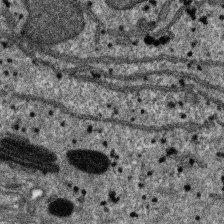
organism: Human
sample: Lung epithelial cells infected with SARS-CoV-2